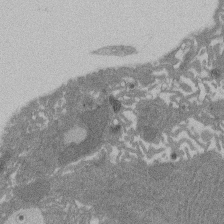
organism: Rat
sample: Salivary granule